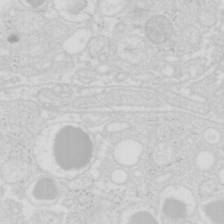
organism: Mouse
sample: Pancreas